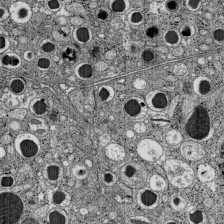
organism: C57BL Mouse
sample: Pancreatic islet